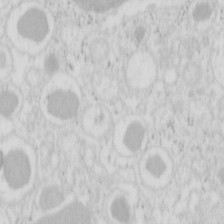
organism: Mouse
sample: Pancreas